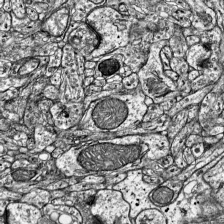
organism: Mouse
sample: Visual Cortex